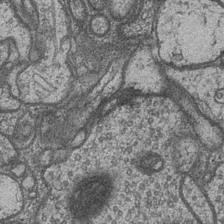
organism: Drosophila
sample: Optic medulla